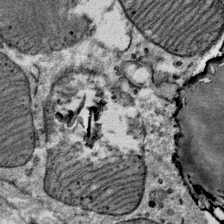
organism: Mouse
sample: Mouse Salivary gland